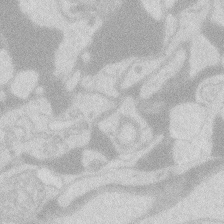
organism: Zebrafish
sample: Macrophage